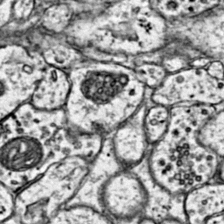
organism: Mouse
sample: Primary visual cortex